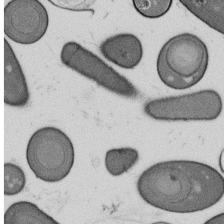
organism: B. subtilis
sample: Bacterial spore